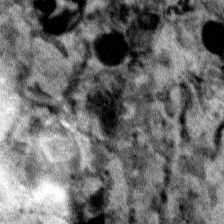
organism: Human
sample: Mitochondria in HCT116 cells